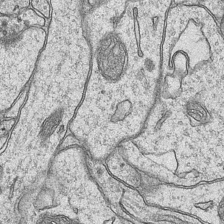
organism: Mouse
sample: CA1 Hippocampus